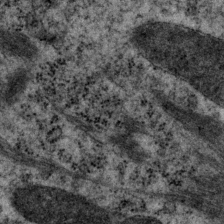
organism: P. pacificus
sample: Pharynx